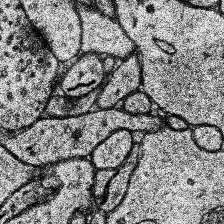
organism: Human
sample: Temporal Lobe